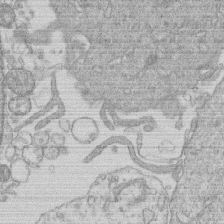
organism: Human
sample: Macrophage cells